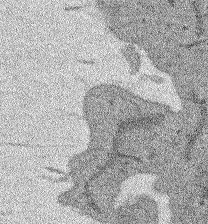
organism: Human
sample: HeLa cells